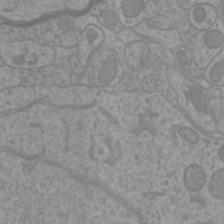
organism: Mouse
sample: Cortical neurons